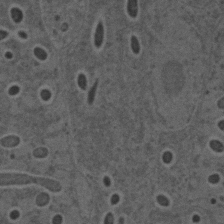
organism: C. elegans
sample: C. elegans embryo